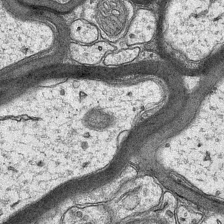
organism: Mouse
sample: CA1 Hippocampus